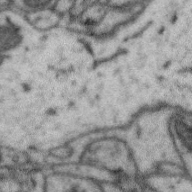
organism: Zebra finch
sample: Brain